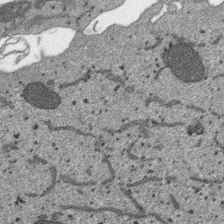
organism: Human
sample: Lung epithelial cells infected with SARS-CoV-2